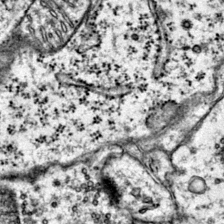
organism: Mouse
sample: Primary visual cortex